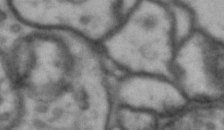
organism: Drosophila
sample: Brain